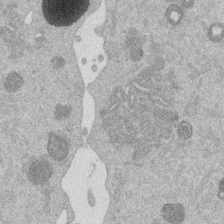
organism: Mouse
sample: Dividing mouse embryo 1 cell stage